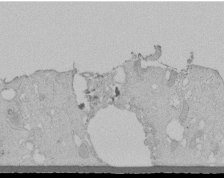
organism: Human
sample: Melanocyte Keratinocyte synapse skin construct